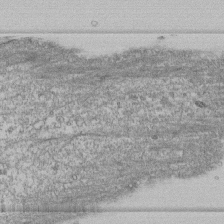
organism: Human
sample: Fibroblast cells